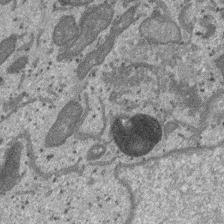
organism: Human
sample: Lung epithelial cells infected with SARS-CoV-2